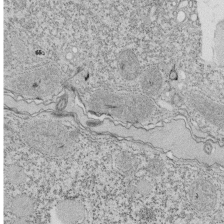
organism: Tetrahymena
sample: Cilia in tetrahymena